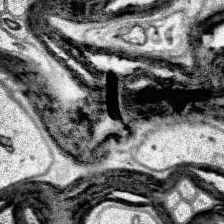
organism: Human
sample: Temporal Lobe